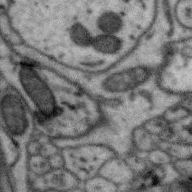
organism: Zebra finch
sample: Brain